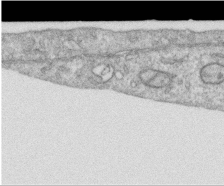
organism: Human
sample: Centriole in RPE cells